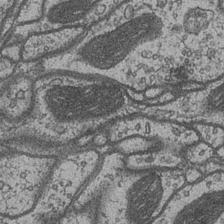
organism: Drosophila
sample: Optic medulla